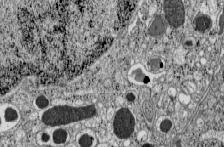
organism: C57BL Mouse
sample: Pancreatic islet